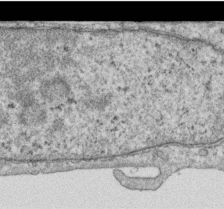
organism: Human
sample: Centriole in RPE cells